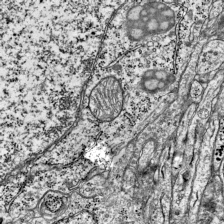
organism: Mouse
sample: Visual Cortex